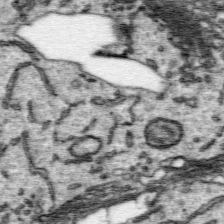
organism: Human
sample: HeLa cells